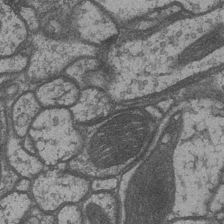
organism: Drosophila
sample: Optic medulla